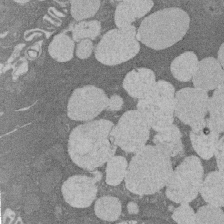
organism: Rat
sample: Salivary granule